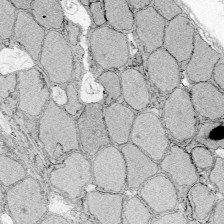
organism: Zebrafish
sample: Whole-Brain